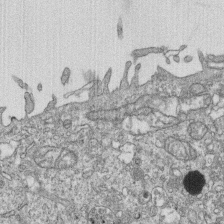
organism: Human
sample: HeLa cell HIV synapse